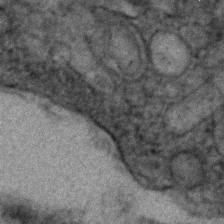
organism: Human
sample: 1205lu cells